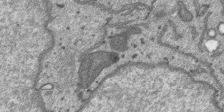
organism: Human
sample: Lung epithelial cells infected with SARS-CoV-2